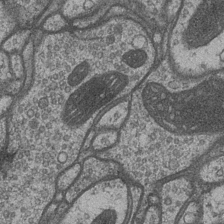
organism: Drosophila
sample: Optic medulla